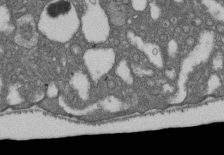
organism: Drosophila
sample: Nephrocyte